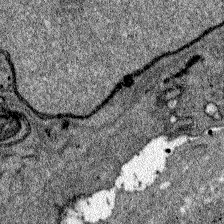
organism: Zebrafish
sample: Larval olfactory bulb